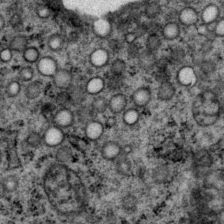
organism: P. pacificus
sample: Pharynx